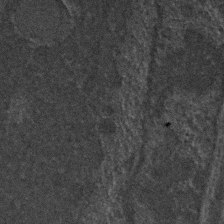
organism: C. elegans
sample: C. elegans embryo